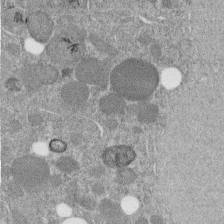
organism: C. elegans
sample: C. elegans embryo early stage